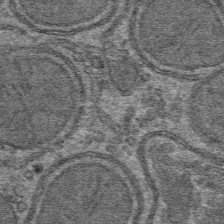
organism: Mouse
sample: Mouse hepatocytes